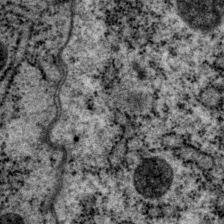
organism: P. pacificus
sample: Pharynx